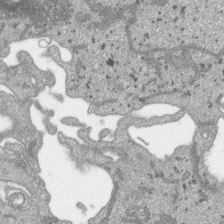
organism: Human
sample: Lung epithelial cells infected with SARS-CoV-2